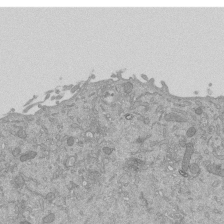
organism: Mouse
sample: ED-1 cell nuclei; centrioles